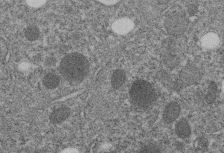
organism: C. elegans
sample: C. elegans embryo early stage